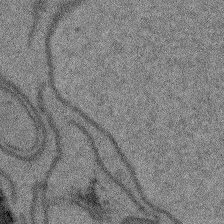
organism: Arabidopsis thaliana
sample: Root tip